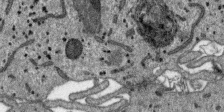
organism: Human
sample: Lung epithelial cells, uninfected (mock) control